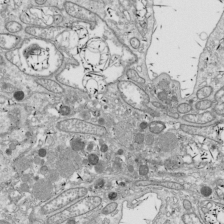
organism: Drosophila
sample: Cell division; meiosis; drosophila spermatocytes